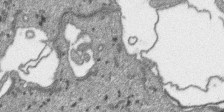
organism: Human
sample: Lung epithelial cells infected with SARS-CoV-2